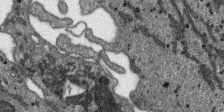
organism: Human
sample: Lung epithelial cells infected with SARS-CoV-2